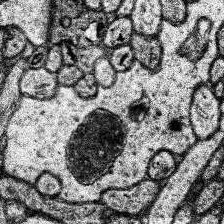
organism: Human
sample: Temporal Lobe